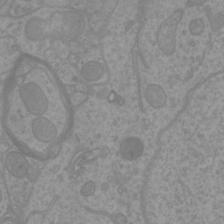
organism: Mouse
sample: Cortical neurons